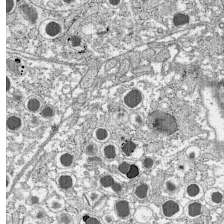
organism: C57BL Mouse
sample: Pancreatic islet